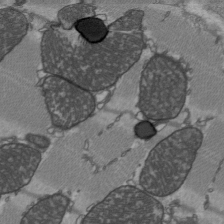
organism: C57BL Mouse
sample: Heart